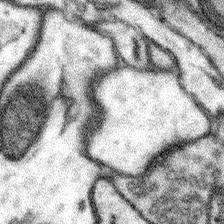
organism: Mouse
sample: Somatosensory cortex neuropil